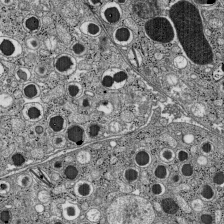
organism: C57BL Mouse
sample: Pancreatic islet